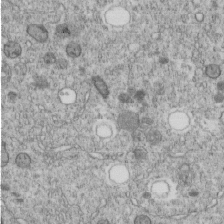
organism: C. elegans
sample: C. elegans embryo early stage